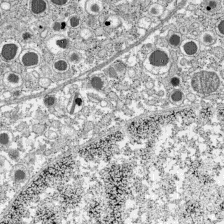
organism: C57BL Mouse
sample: Pancreatic islet